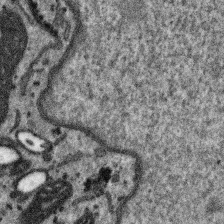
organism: Human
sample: Lung epithelial cells infected with SARS-CoV-2